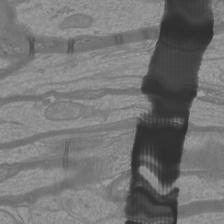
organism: Mouse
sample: Cortical neurons